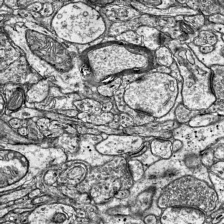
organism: Mouse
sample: Visual Cortex